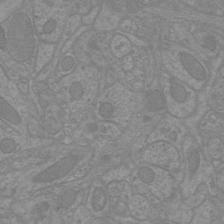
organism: Mouse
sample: Cortical neurons